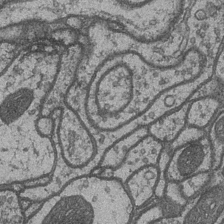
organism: Drosophila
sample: Optic medulla